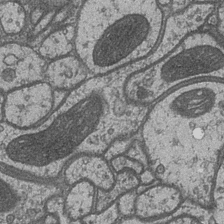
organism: Drosophila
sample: Optic medulla